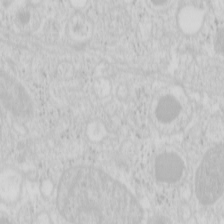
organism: Mouse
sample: Pancreas